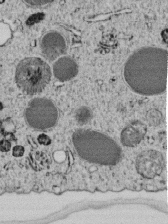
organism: C. elegans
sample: C. elegans embryo early stage